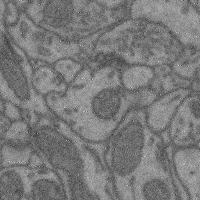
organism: Mouse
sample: Cerebral cortex